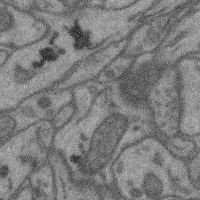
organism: Mouse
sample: Cerebral cortex